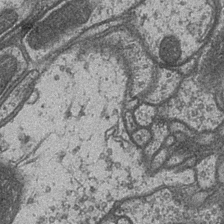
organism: Drosophila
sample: Optic medulla